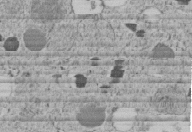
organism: C. elegans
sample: C. elegans embryo early stage